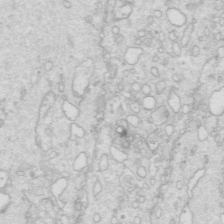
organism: Mouse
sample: Multiciliated cells